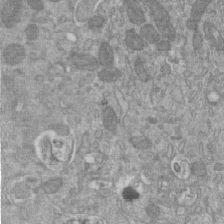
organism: Mouse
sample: ED-1 cell nuclei; centrioles